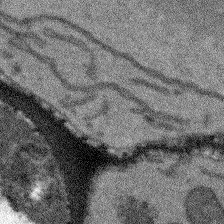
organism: Arabidopsis thaliana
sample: Root tip